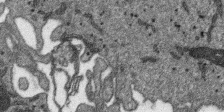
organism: Human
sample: Lung epithelial cells infected with SARS-CoV-2